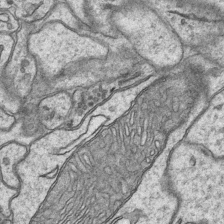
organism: Mouse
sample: CA1 Hippocampus